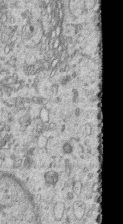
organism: Human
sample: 1205lu cells